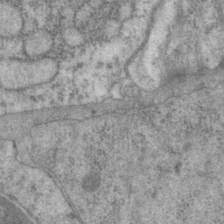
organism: P. pacificus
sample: Pharynx